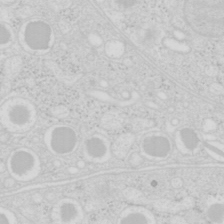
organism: Mouse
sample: Pancreas